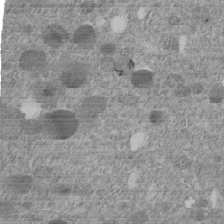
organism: C. elegans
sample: C. elegans embryo early stage